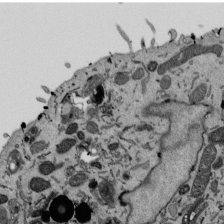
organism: Mouse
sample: ED-1 cell nuclei; centrioles